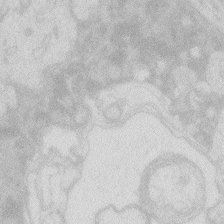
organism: Zebrafish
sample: Macrophage